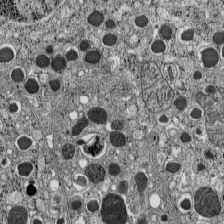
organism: C57BL Mouse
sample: Pancreatic islet